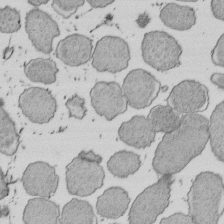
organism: E. coli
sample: Bacterial nucleoid